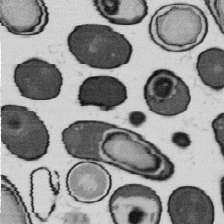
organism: B. subtilis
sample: Bacterial spore